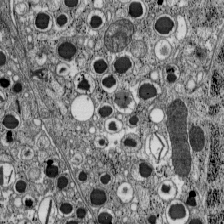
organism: C57BL Mouse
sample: Pancreatic islet